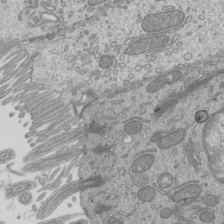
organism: Mouse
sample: Cilia; mouse epididymis